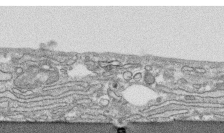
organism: Human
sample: CRL-1474